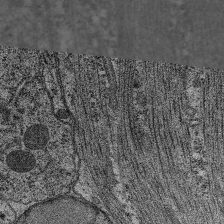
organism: C. elegans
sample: Pharynx